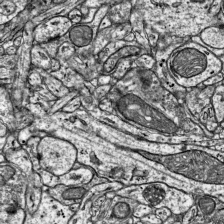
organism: Mouse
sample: Visual Cortex